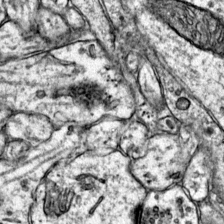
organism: Mouse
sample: Primary visual cortex